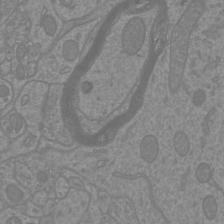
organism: Mouse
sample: Cortical neurons